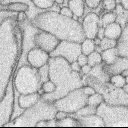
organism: Rabbit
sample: Retina